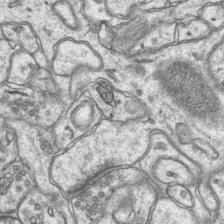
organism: Mouse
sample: CA1 Hippocampus